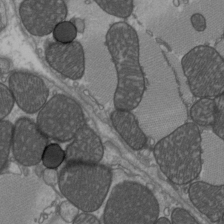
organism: C57BL Mouse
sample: Heart